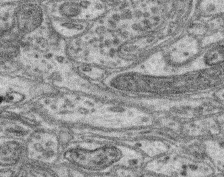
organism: Mouse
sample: Retina